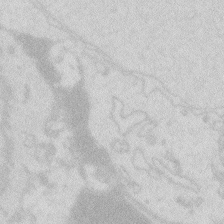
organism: Zebrafish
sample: Macrophage